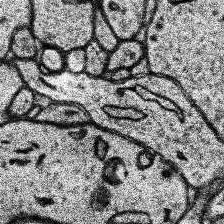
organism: Human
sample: Temporal Lobe